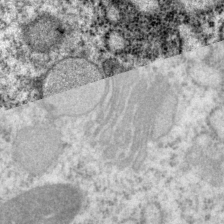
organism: P. pacificus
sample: Pharynx